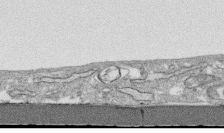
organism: Human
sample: CRL-1474